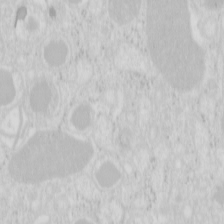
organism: Mouse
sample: Pancreas